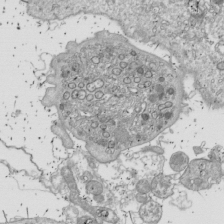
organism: Drosophila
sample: Cell division; meiosis; drosophila spermatocytes